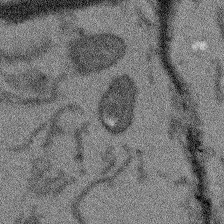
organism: Arabidopsis thaliana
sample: Root tip